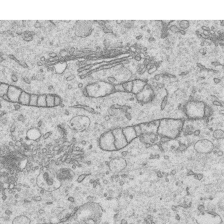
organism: Human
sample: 1205lu cells